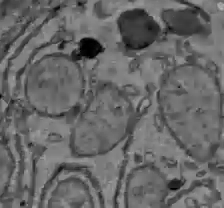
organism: C57BL Mouse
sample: Liver